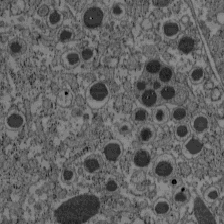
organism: C57BL Mouse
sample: Pancreatic islet